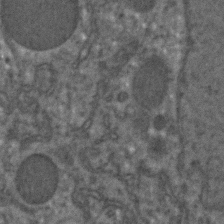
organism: C. elegans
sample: C. elegans embryo